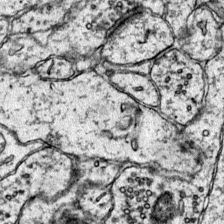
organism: Mouse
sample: Primary visual cortex